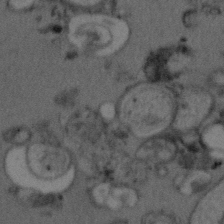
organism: Human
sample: HeLa cells